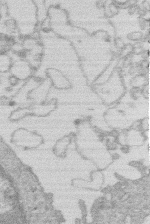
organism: Human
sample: Macrophage cells